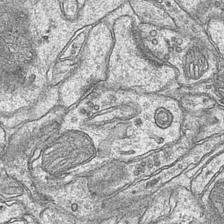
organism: Mouse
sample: CA1 Hippocampus